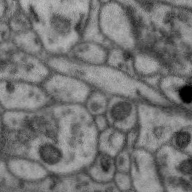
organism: Zebra finch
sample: Brain